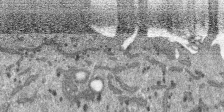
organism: Human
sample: Lung epithelial cells infected with SARS-CoV-2